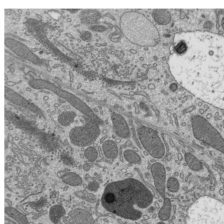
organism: Mouse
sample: Mouse epididymis efferent ductule cilia